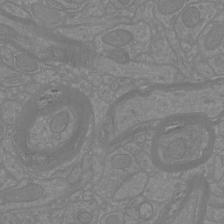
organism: Mouse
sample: Cortical neurons